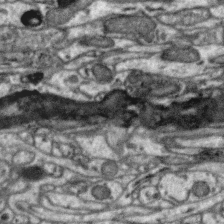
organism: Zebra finch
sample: Brain